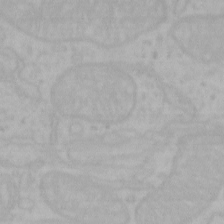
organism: Mouse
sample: Choroid plexus